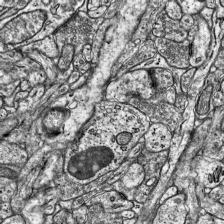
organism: Mouse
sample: Visual Cortex